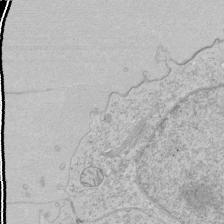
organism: Human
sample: Mitochondria in HCT116 cells